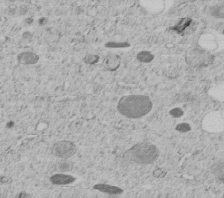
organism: C. elegans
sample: C. elegans embryo early stage